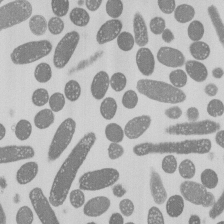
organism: E. coli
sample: Bacterial nucleoid